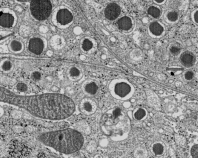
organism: C57BL Mouse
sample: Pancreatic islet